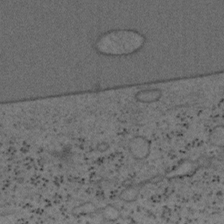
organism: Human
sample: HeLa cells